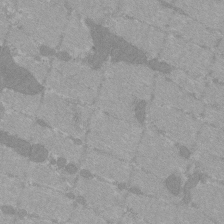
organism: C57BL Mouse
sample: Tibialis anterior muscle cell